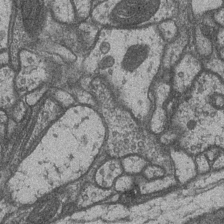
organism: Drosophila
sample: Optic medulla